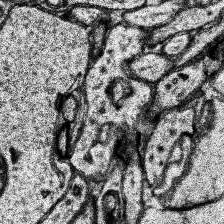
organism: Human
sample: Temporal Lobe